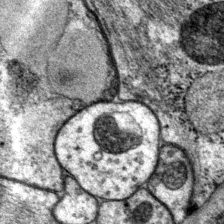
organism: P. pacificus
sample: Pharynx